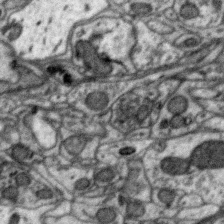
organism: Zebra finch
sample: Brain